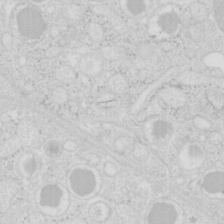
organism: Mouse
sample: Pancreas